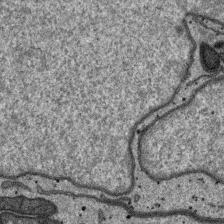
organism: Human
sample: Lung epithelial cells, uninfected (mock) control